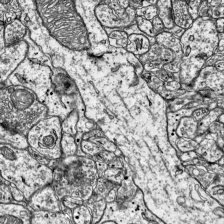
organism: Mouse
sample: Visual Cortex